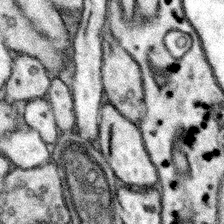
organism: Mouse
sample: Somatosensory cortex neuropil